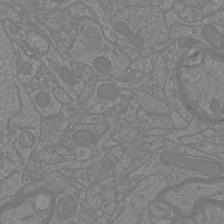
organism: Mouse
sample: Cortical neurons